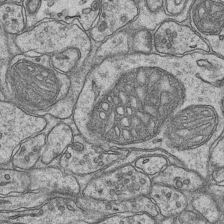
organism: Mouse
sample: CA1 Hippocampus